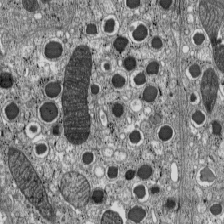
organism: C57BL Mouse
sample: Pancreatic islet